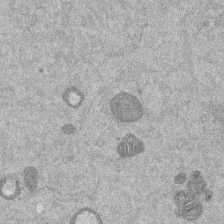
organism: Mouse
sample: Dividing mouse embryo 1 cell stage